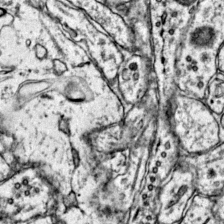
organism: Mouse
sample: Primary visual cortex